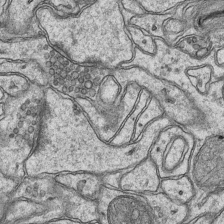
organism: Mouse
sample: CA1 Hippocampus